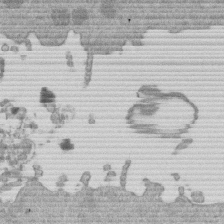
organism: Mouse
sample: Dividing mouse embryo 1 cell stage